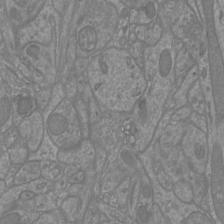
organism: Mouse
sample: Cortical neurons